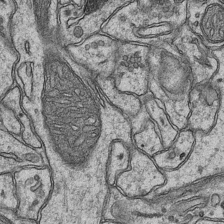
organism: Mouse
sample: CA1 Hippocampus